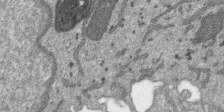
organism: Human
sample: Lung epithelial cells infected with SARS-CoV-2